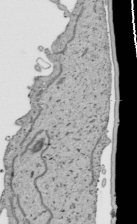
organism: Human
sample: Mitochondria in HCT116 cells